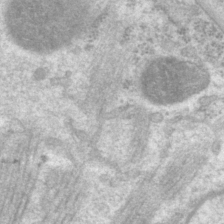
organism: P. pacificus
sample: Pharynx